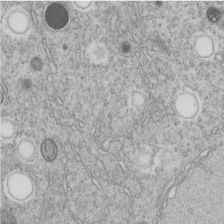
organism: C. elegans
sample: C. elegans embryo early stage